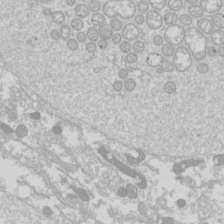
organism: Drosophila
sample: Cell division; meiosis; drosophila spermatocytes